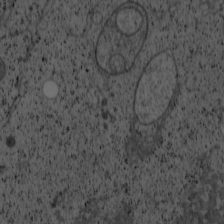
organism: African green monkey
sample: COS-7 cells